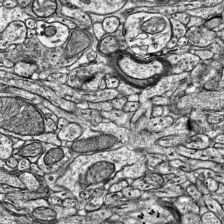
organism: Mouse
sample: Visual Cortex